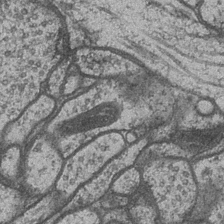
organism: Drosophila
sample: Optic medulla